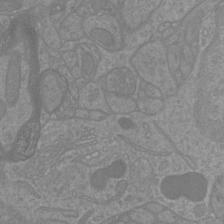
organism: Mouse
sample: Cortical neurons